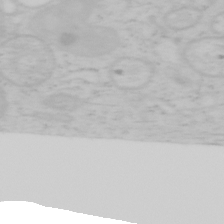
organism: Mouse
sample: OT-I killer T cells with ID8 ovarian cancer cells